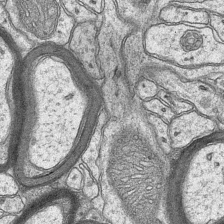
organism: Mouse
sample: CA1 Hippocampus